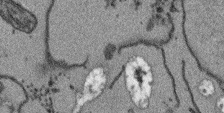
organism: Arabidopsis thaliana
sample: Root tip